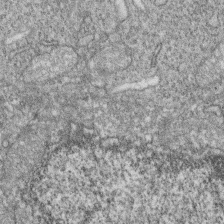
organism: Zebrafish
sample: Cilia; retinal pigment epithelium